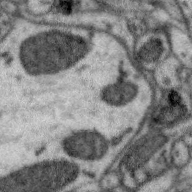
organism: Zebra finch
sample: Brain